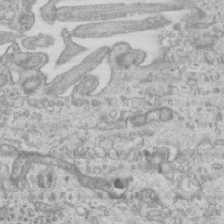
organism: Mouse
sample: Centriole in ependymal cells